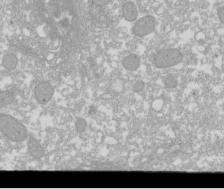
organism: Xenopus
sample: Cilia; centrioles in frog embryo cells